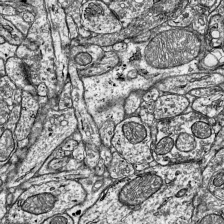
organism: Mouse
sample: Visual Cortex